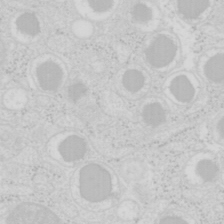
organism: Mouse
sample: Pancreas